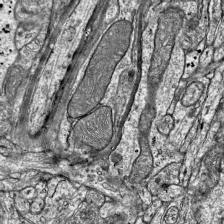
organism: Mouse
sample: Visual Cortex